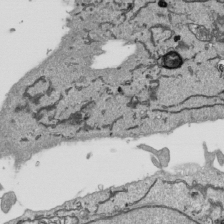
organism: Human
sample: Mitochondria in HCT116 cells